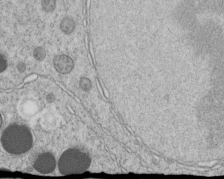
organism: C. elegans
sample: C. elegans embryo early stage